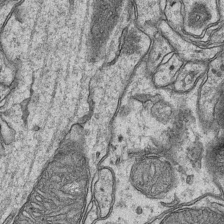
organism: Mouse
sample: CA1 Hippocampus